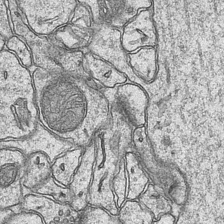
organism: Mouse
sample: CA1 Hippocampus